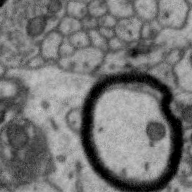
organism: Zebra finch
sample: Brain